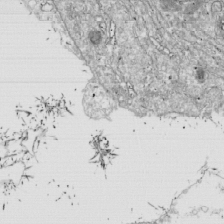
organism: Drosophila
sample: Cell division; meiosis; drosophila spermatocytes